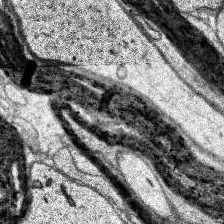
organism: Human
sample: Temporal Lobe